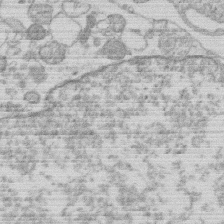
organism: Human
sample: Macrophage cells